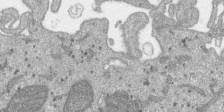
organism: Human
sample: Lung epithelial cells infected with SARS-CoV-2